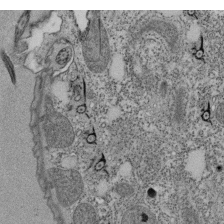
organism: Tetrahymena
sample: Cilia in tetrahymena